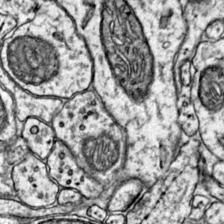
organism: Mouse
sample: Primary visual cortex